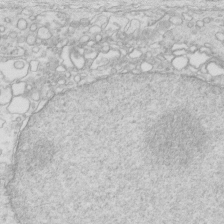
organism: Mouse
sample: Multiciliated cells